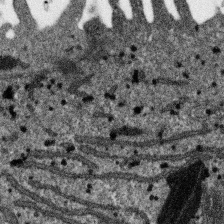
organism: Human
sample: Lung epithelial cells infected with SARS-CoV-2